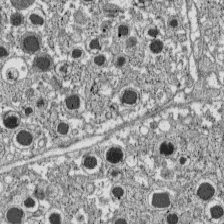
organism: C57BL Mouse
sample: Pancreatic islet